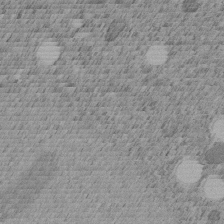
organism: C. elegans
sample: C. elegans embryo early stage